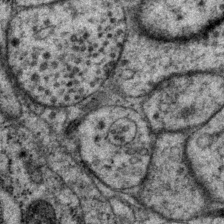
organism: P. pacificus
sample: Pharynx